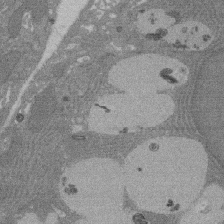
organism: Rat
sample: Salivary granule